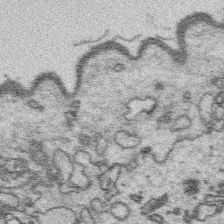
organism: Platynereis dumerilii